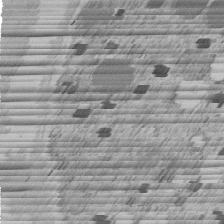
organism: C. elegans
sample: C. elegans embryo early stage